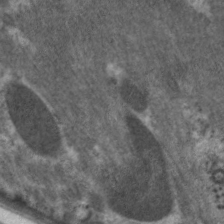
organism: C. elegans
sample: Pharynx